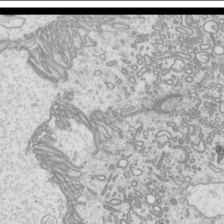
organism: Mouse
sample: Cilia; mouse epididymis